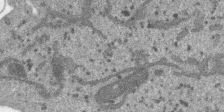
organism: Human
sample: Lung epithelial cells infected with SARS-CoV-2